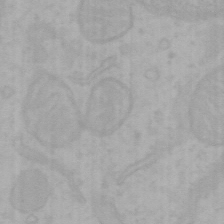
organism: Mouse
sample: Choroid plexus